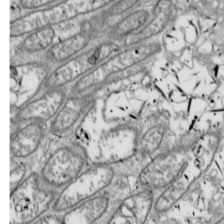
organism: Drosophila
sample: Cell division; meiosis; drosophila spermatocytes